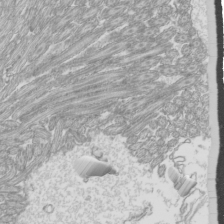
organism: Mouse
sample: Cilia; mouse epididymis